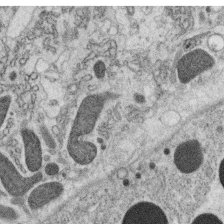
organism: C. elegans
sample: C. elegans oocyte; sperm cells